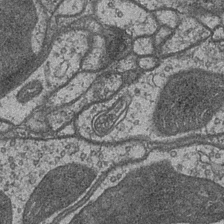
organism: Drosophila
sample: Optic medulla